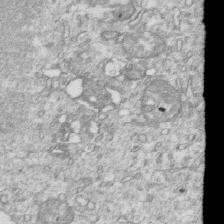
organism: Mouse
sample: Activated OT-1 CD8+ T cells